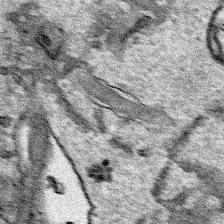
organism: Human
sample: Mitochondria in HCT116 cells